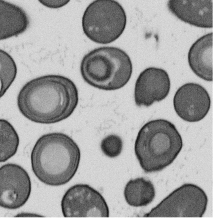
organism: B. subtilis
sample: Bacterial spore